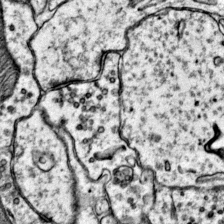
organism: Mouse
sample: Primary visual cortex